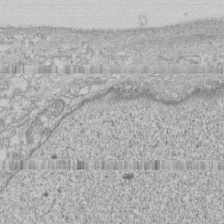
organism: Human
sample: CRL-1474